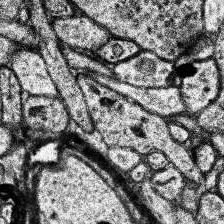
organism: Human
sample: Temporal Lobe